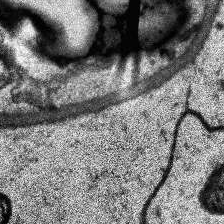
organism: Human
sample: Temporal Lobe